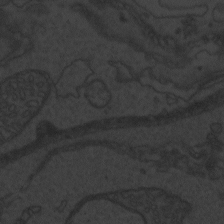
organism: Zebrafish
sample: Macrophage infected with Toxoplasma gondii